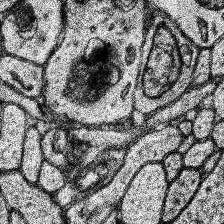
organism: Human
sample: Temporal Lobe